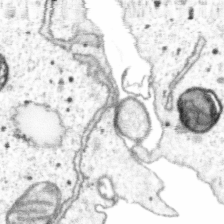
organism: Human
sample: HeLa cells